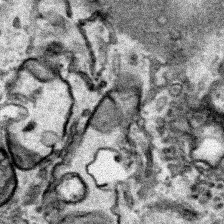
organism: Human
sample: Mitochondria in HCT116 cells